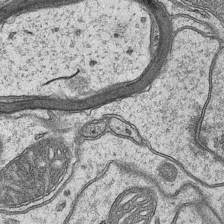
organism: Mouse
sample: CA1 Hippocampus